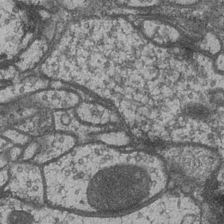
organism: Drosophila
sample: Optic medulla